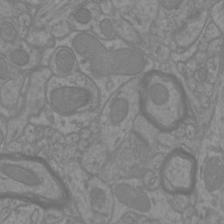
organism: Mouse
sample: Cortical neurons